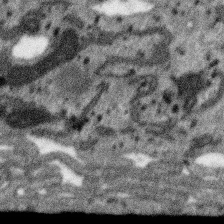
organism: Human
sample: Lung epithelial cells infected with SARS-CoV-2